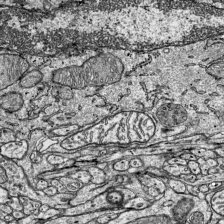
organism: Mouse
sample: Visual Cortex